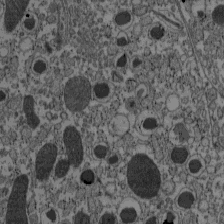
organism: C57BL Mouse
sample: Pancreatic islet